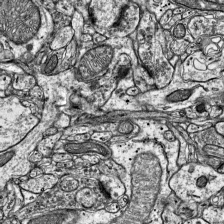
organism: Mouse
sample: Visual Cortex